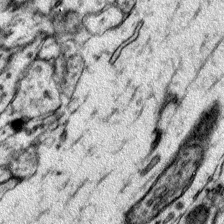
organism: Mouse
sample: Primary visual cortex